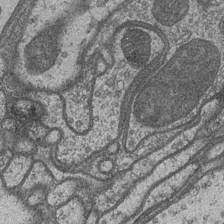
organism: Drosophila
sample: Optic medulla